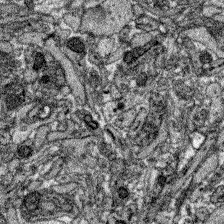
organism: Zebrafish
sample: Larval olfactory bulb